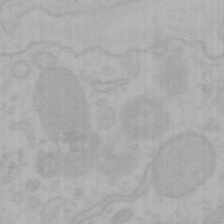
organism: Mouse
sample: Choroid plexus